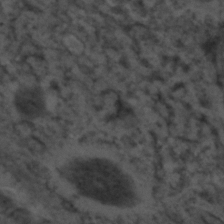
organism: C. elegans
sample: C. elegans embryo